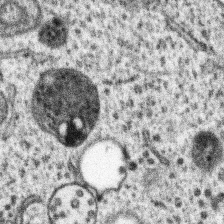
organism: Human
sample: HeLa cells